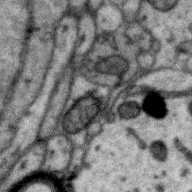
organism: Zebra finch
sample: Brain